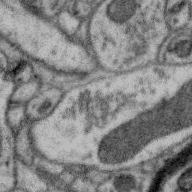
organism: Zebra finch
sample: Brain